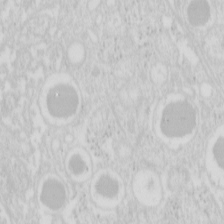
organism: Mouse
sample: Pancreas